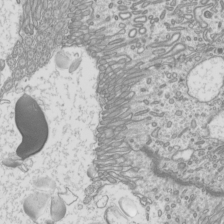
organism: Mouse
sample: Cilia; mouse epididymis